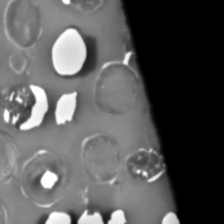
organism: C. elegans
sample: C. elegans embryo